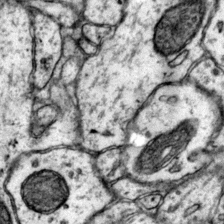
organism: Mouse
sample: Primary visual cortex